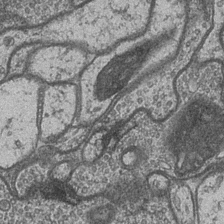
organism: Drosophila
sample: Optic medulla